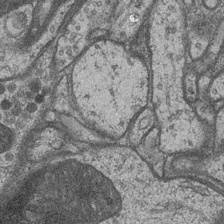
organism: Drosophila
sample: Optic medulla